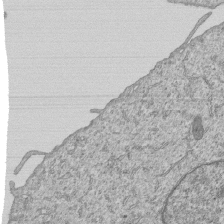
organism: Human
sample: MDA-MB-231 cells